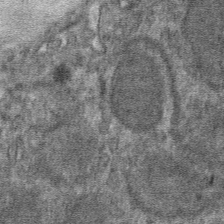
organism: Mouse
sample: Mouse hepatocytes